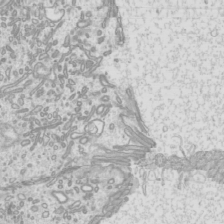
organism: Mouse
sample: Cilia; mouse epididymis